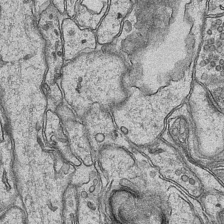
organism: Mouse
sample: CA1 Hippocampus